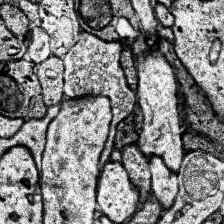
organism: Human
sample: Temporal Lobe